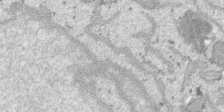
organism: Human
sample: Lung epithelial cells infected with SARS-CoV-2